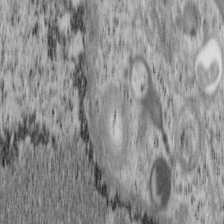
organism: Human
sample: HeLa cells